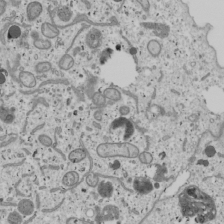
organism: Human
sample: Mitochondria in U2OS cells